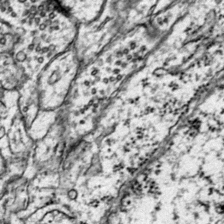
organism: Mouse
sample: Primary visual cortex